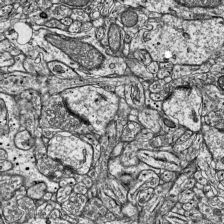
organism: Mouse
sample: Visual Cortex